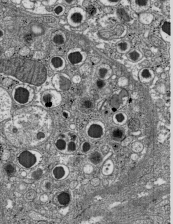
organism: C57BL Mouse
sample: Pancreatic islet